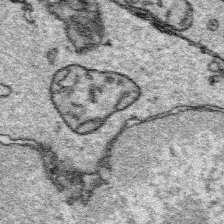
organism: Platynereis dumerilii